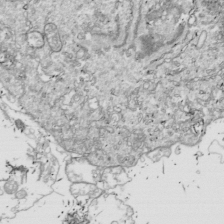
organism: Drosophila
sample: Cell division; meiosis; drosophila spermatocytes